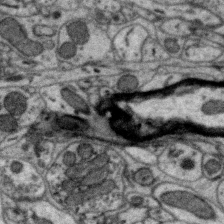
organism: Zebra finch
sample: Brain